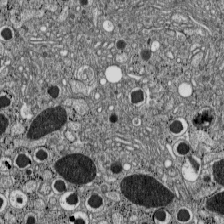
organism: C57BL Mouse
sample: Pancreatic islet